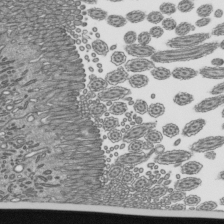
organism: Mouse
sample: Mouse epididymis efferent ductule cilia